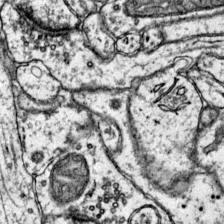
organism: Mouse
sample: Primary visual cortex